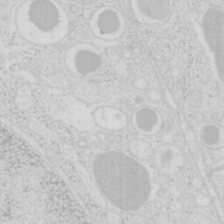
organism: Mouse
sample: Pancreas